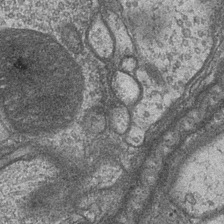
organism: Drosophila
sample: Optic medulla